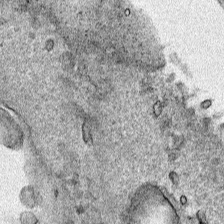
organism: Human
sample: Mitochondria in HCT116 cells